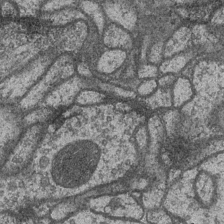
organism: Drosophila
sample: Optic medulla